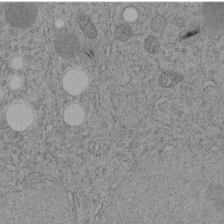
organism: C. elegans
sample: C. elegans embryo early stage